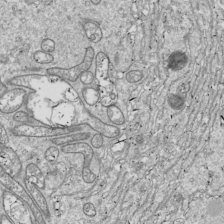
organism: Drosophila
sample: Cell division; meiosis; drosophila spermatocytes